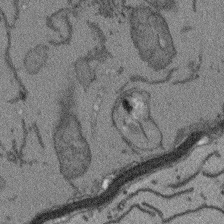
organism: Arabidopsis thaliana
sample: Root tip